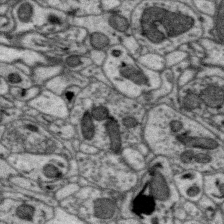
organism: Zebra finch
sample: Brain